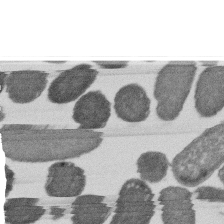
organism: E. coli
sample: Bacterial nucleoid